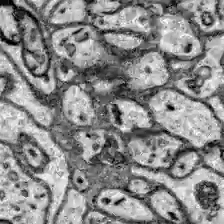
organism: Zebrafish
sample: Brain